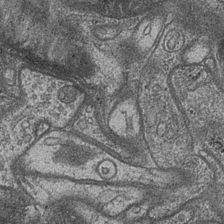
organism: Drosophila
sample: Optic medulla